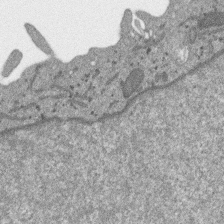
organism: Human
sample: Lung epithelial cells infected with SARS-CoV-2